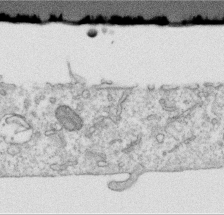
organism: Human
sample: Centriole in RPE cells